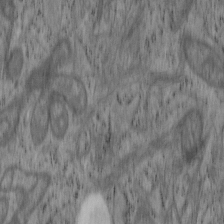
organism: Human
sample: HeLa cells